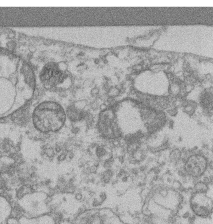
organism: Mouse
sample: T cell stromal cell synapse